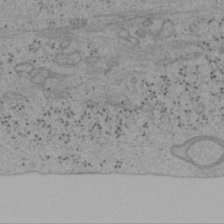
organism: Human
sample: HeLa cells